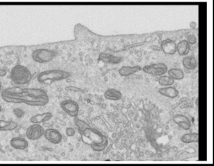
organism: Human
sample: Centriole in RPE cells